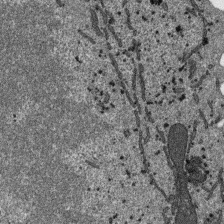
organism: Human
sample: Lung epithelial cells infected with SARS-CoV-2